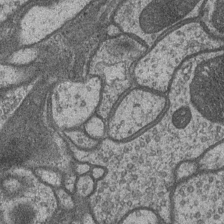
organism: Drosophila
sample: Optic medulla